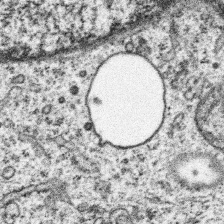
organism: Human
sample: HeLa cells